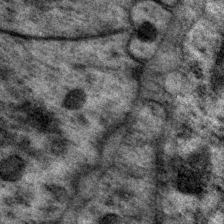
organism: P. pacificus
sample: Pharynx